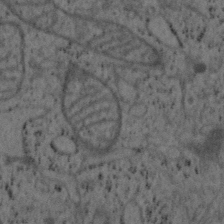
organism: Human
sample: HeLa cells